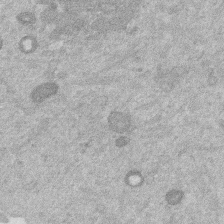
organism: Mouse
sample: Dividing mouse embryo 1 cell stage